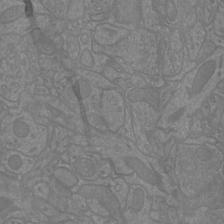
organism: Mouse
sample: Cortical neurons